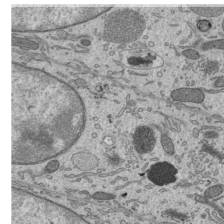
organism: Mouse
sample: Mouse epididymis efferent ductule cilia